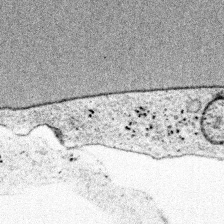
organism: Human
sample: HeLa cells